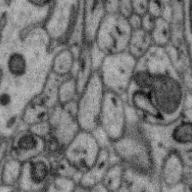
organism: Zebra finch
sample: Brain